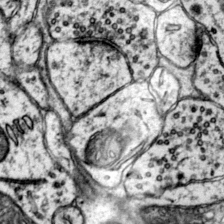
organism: Mouse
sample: Primary visual cortex